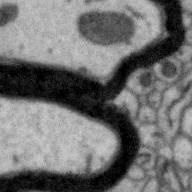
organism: Zebra finch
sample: Brain